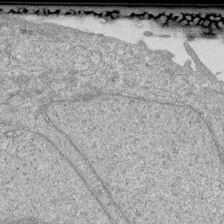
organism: Human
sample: HeLa cell HIV synapse